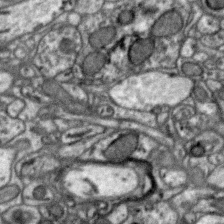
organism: Zebra finch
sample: Brain